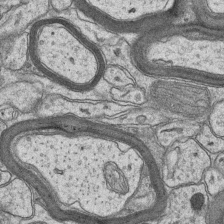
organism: Mouse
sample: CA1 Hippocampus